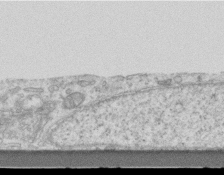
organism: Mouse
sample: Centriole in ependymal cells